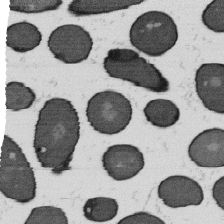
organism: B. subtilis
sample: Bacterial spore